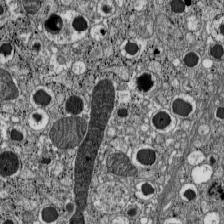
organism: C57BL Mouse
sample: Pancreatic islet